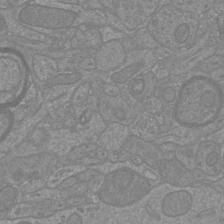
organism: Mouse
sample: Cortical neurons